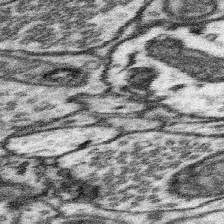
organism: Mouse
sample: Somatosensory cortex neuropil